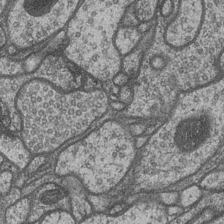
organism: Drosophila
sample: Optic medulla